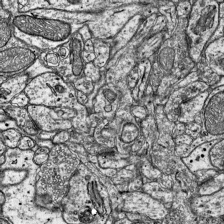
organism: Mouse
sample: Visual Cortex